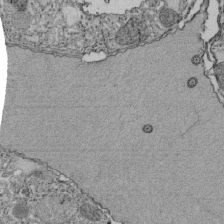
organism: Tetrahymena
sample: Cilia in tetrahymena